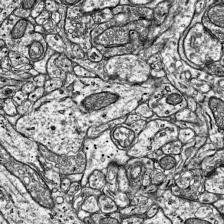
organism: Mouse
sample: Visual Cortex